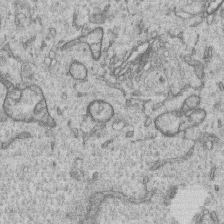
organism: Human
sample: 1205lu cells